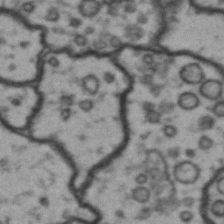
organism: Drosophila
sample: Brain